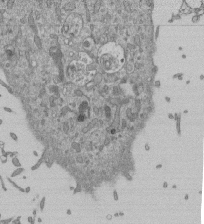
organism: Mouse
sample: ED-1 cell nuclei; centrioles